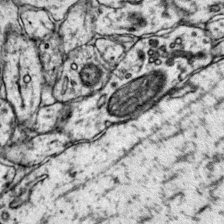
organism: Mouse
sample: Primary visual cortex